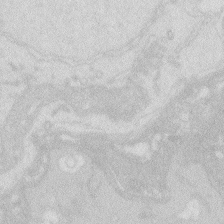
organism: Zebrafish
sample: Macrophage